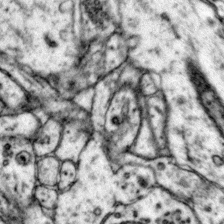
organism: Mouse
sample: Primary visual cortex